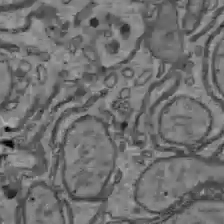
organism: C57BL Mouse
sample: Liver